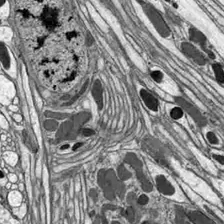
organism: Drosophila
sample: Optic lobe